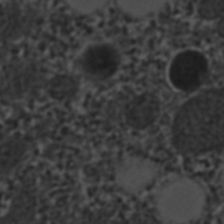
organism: C. elegans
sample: C. elegans embryo